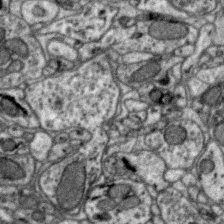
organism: Zebra finch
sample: Brain